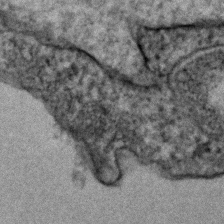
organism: Human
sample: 1205lu cells